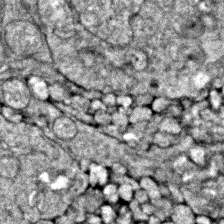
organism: Zebrafish